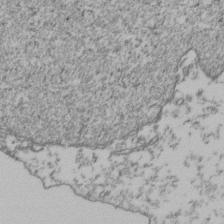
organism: Human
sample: Activated Jurkat CD4+ T cells